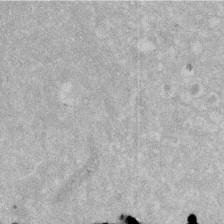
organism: Human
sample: HIV infected U937 cells